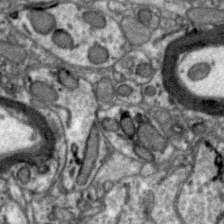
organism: Zebra finch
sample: Brain